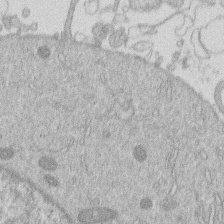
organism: Human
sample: Macrophage cells